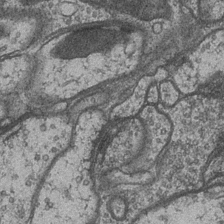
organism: Drosophila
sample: Optic medulla